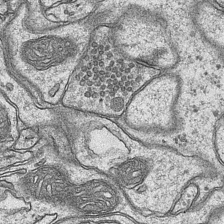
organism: Mouse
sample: CA1 Hippocampus